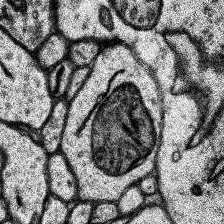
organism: Human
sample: Temporal Lobe